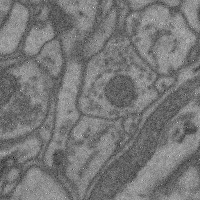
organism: Mouse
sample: Cerebral cortex